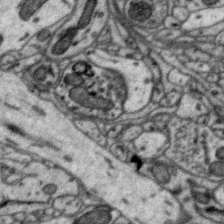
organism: Zebra finch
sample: Brain